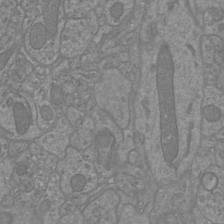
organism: Mouse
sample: Cortical neurons